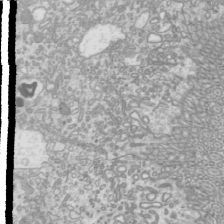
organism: Mouse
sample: Cilia; mouse epididymis